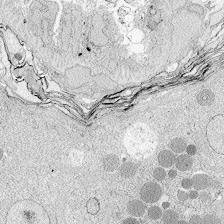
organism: Zebrafish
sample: Whole-Brain